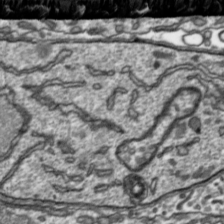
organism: Toxoplasma gondii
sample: Parasites in a vacuole inside a host cell